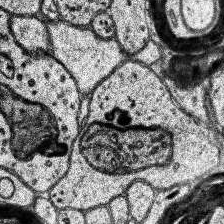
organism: Human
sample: Temporal Lobe